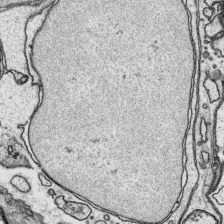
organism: Platynereis dumerilii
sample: Parapodia